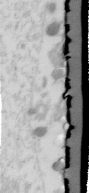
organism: Human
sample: U2-OS cells